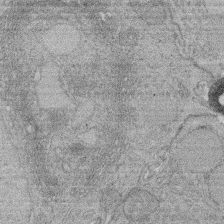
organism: Rat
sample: Salivary granule